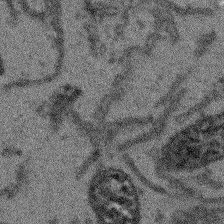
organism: Arabidopsis thaliana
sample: Root tip